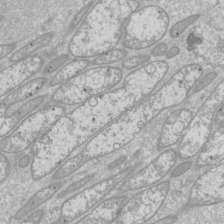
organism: Drosophila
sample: Cell division; meiosis; drosophila spermatocytes